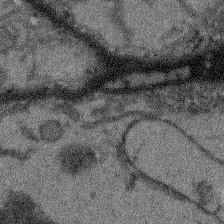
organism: Arabidopsis thaliana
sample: Root tip